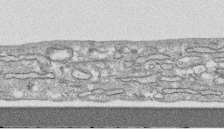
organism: Human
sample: CRL-1474